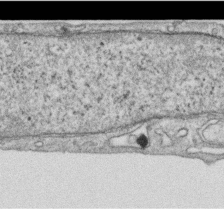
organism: Human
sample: Centriole in RPE cells